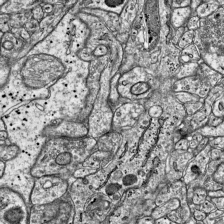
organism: Mouse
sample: Visual Cortex